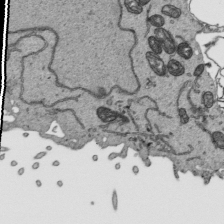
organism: Human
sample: Mitochondria in HCT116 cells